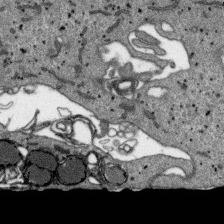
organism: Human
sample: Lung epithelial cells, uninfected (mock) control